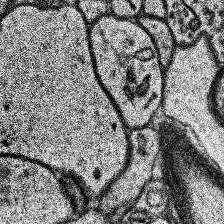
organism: Human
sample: Temporal Lobe